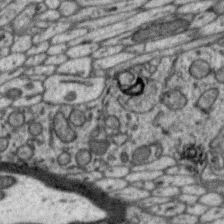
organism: Zebra finch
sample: Brain